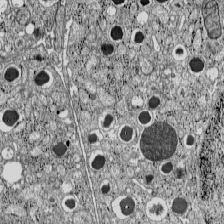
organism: C57BL Mouse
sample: Pancreatic islet